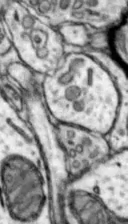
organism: Mouse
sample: Nucleus accumbens